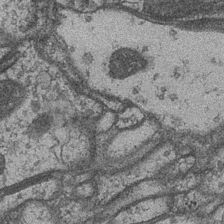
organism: Drosophila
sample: Optic medulla